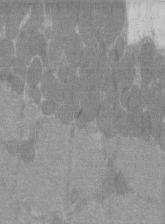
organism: C57BL Mouse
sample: Tibialis anterior muscle cell